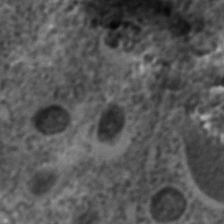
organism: C. elegans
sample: C. elegans embryo